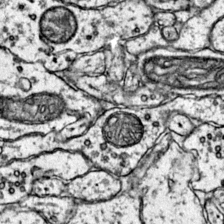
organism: Mouse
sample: Primary visual cortex